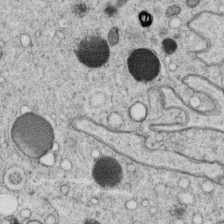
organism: C. elegans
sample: C. elegans oocyte; sperm cells